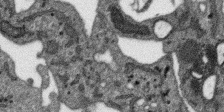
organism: Human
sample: Lung epithelial cells infected with SARS-CoV-2